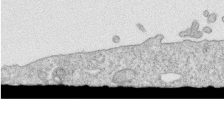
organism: Human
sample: HeLa cell HIV synapse